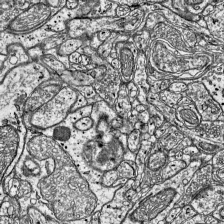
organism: Mouse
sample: Visual Cortex